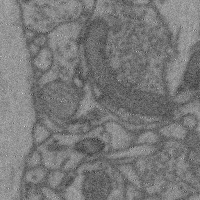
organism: Mouse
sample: Cerebral cortex